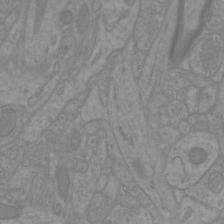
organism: Mouse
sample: Cortical neurons